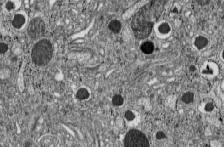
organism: C57BL Mouse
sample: Pancreatic islet